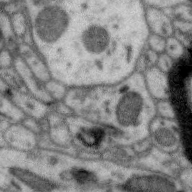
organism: Zebra finch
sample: Brain